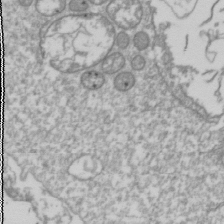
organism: Drosophila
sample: Cell division; meiosis; drosophila spermatocytes